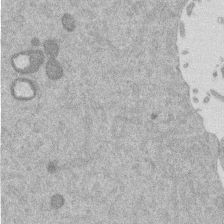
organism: Mouse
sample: Dividing mouse embryo 1 cell stage